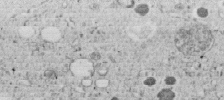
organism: C. elegans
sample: C. elegans embryo early stage